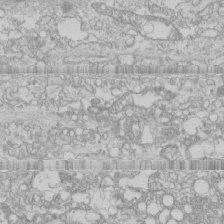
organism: Human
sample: CRL-1474